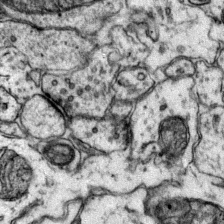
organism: Mouse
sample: Primary visual cortex